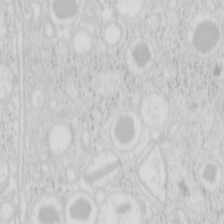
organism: Mouse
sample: Pancreas